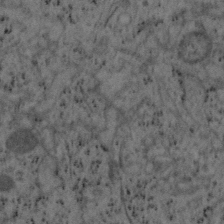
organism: Human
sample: HeLa cells